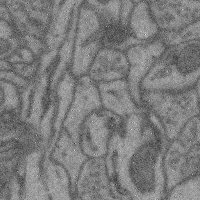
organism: Mouse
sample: Cerebral cortex